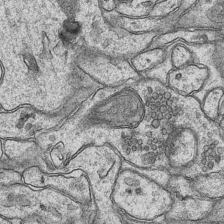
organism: Mouse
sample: CA1 Hippocampus